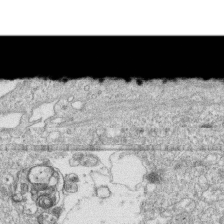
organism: Human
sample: HeLa cell HIV synapse